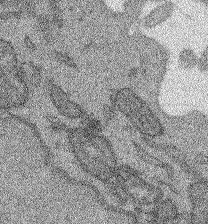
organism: Human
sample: HeLa cells